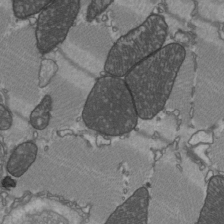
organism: C57BL Mouse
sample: Heart